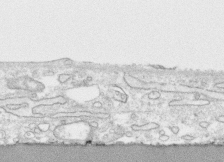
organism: Human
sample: CRL-1474